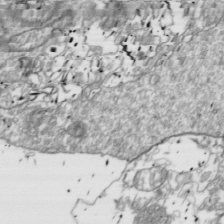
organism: Drosophila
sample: Cell division; meiosis; drosophila spermatocytes